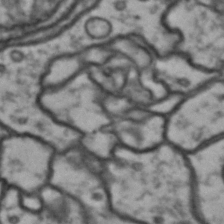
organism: Drosophila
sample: Brain